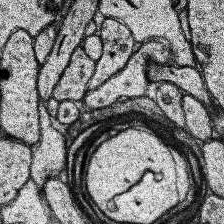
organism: Human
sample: Temporal Lobe